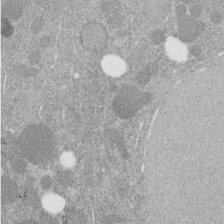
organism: C. elegans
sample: C. elegans embryo early stage